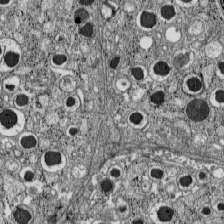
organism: C57BL Mouse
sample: Pancreatic islet